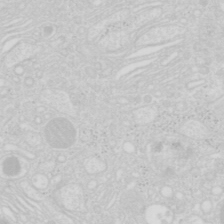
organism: Mouse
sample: Pancreas